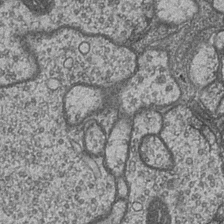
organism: Drosophila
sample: Optic medulla